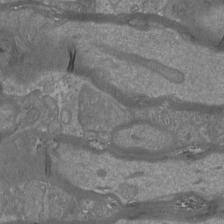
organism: Mouse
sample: Cortical neurons